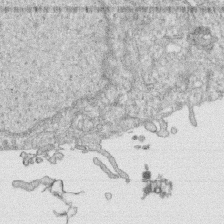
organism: Human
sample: HeLa cell HIV synapse